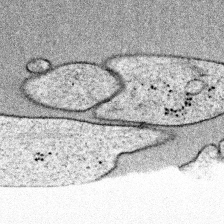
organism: Human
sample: HeLa cells